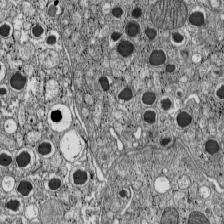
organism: C57BL Mouse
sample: Pancreatic islet